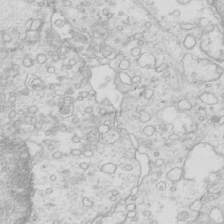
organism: Mouse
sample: Multiciliated cells